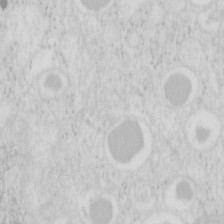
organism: Mouse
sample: Pancreas